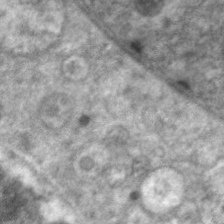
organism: C. elegans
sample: Pharynx